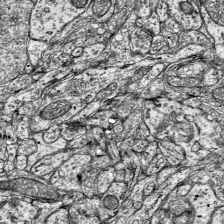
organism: Mouse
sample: Visual Cortex